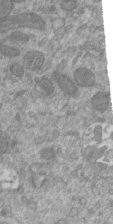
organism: Mouse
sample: ED-1 cell nuclei; centrioles